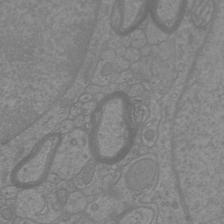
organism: Mouse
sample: Cortical neurons